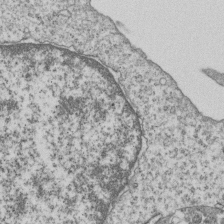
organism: Human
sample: MDA-MB-231 cells